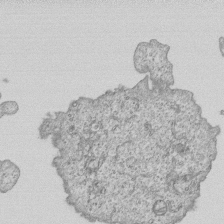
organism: Human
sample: MDA-MB-231 cells